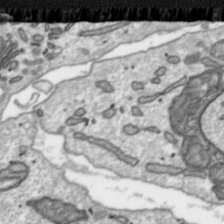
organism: Toxoplasma gondii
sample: Parasites in a vacuole inside a host cell